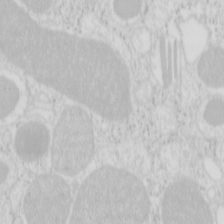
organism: Mouse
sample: Pancreas